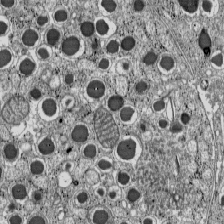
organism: C57BL Mouse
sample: Pancreatic islet